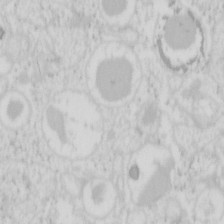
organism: Mouse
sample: Pancreas